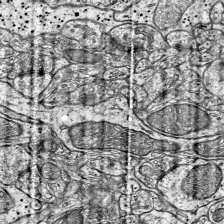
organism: Mouse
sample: Visual Cortex